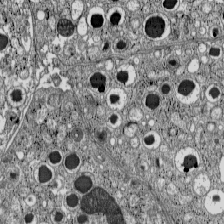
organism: C57BL Mouse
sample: Pancreatic islet